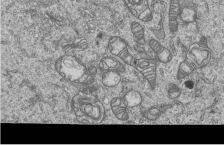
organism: Human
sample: MDA-MB-231 cells